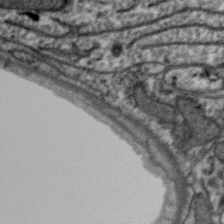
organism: Zebra finch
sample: Brain